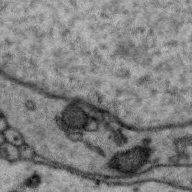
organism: Zebra finch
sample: Brain